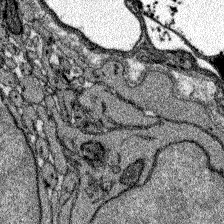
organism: Zebrafish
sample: Larval olfactory bulb